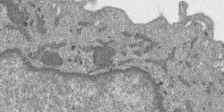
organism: Human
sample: Lung epithelial cells infected with SARS-CoV-2